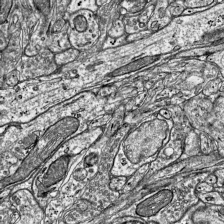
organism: Mouse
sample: Visual Cortex